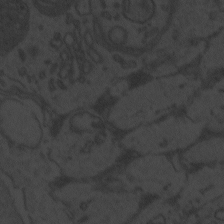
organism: Zebrafish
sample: Macrophage infected with Toxoplasma gondii